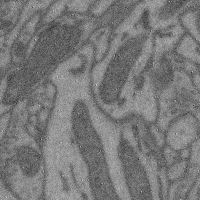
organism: Mouse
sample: Cerebral cortex